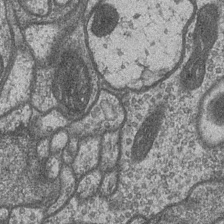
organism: Drosophila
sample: Optic medulla